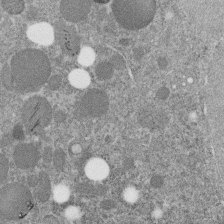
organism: C. elegans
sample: C. elegans embryo early stage